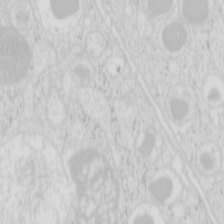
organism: Mouse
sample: Pancreas